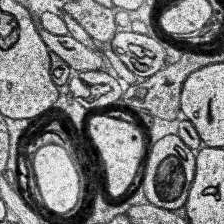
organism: Human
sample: Temporal Lobe